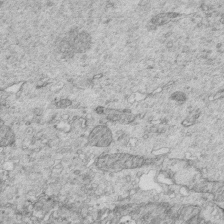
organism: Mouse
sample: Multiciliated cells